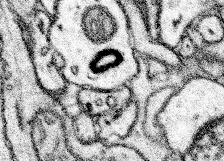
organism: Mouse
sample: Somatosensory cortex neuropil